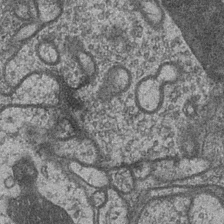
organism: Drosophila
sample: Optic medulla